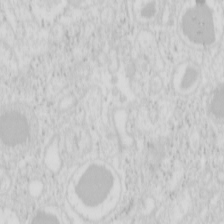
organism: Mouse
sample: Pancreas